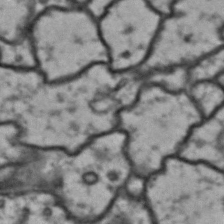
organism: Drosophila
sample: Brain